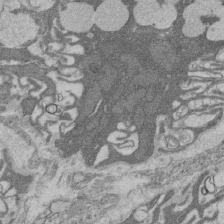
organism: Rat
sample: Salivary granule